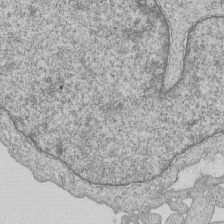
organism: Human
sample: MDA-MB-231 cells